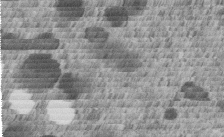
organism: C. elegans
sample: C. elegans embryo early stage